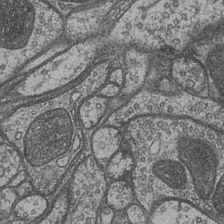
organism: Drosophila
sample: Optic medulla